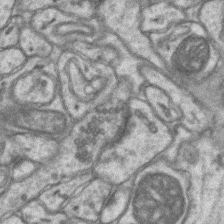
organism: Mouse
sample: CA1 Hippocampus